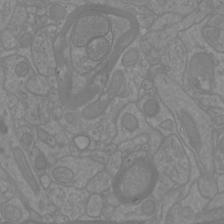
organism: Mouse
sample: Cortical neurons